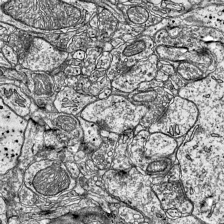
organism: Mouse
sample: Visual Cortex